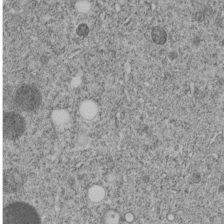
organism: C. elegans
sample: C. elegans embryo early stage